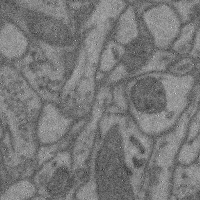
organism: Mouse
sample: Cerebral cortex